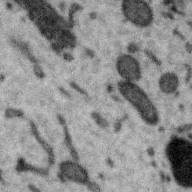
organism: Zebra finch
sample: Brain